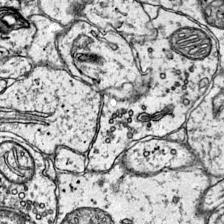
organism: Mouse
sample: Primary visual cortex